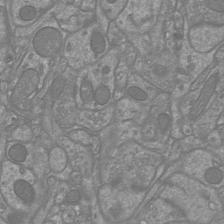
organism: Mouse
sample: Cortical neurons